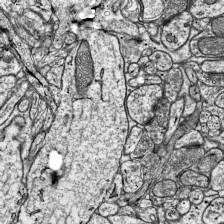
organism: Mouse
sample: Visual Cortex